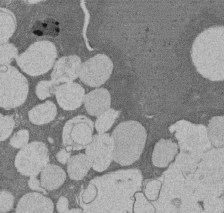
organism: Rat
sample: Salivary granule